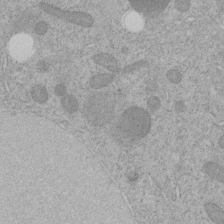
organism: C. elegans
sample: C. elegans embryo early stage